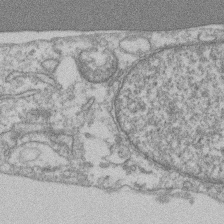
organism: Mouse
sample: T cell stromal cell synapse